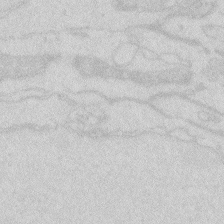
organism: Zebrafish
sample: Macrophage